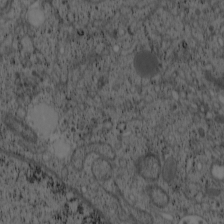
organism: African green monkey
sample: COS-7 cells